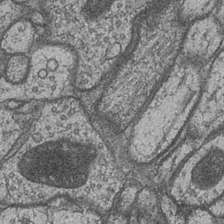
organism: Drosophila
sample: Optic medulla